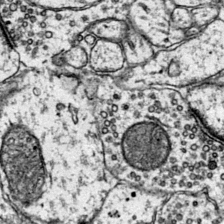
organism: Mouse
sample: Primary visual cortex